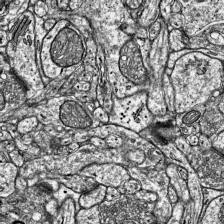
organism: Mouse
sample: Visual Cortex